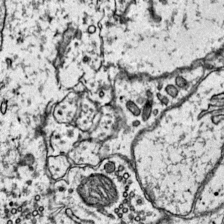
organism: Mouse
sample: Primary visual cortex